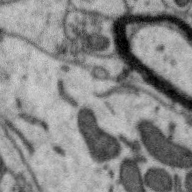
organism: Zebra finch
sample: Brain